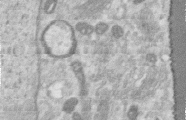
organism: Human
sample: Centriole in RPE cells